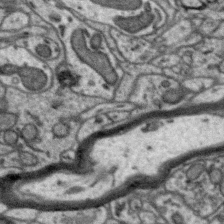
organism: Zebra finch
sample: Brain